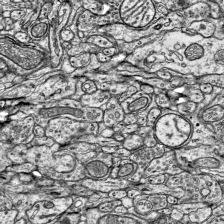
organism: Mouse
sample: Visual Cortex